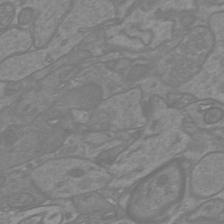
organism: Mouse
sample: Cortical neurons